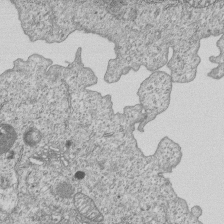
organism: Human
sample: MDA-MB-231 cells